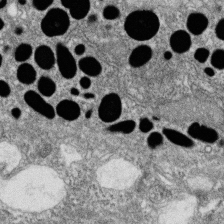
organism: Zebrafish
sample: Cilia; retinal pigment epithelium